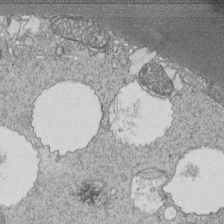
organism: Tetrahymena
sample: Cilia in tetrahymena